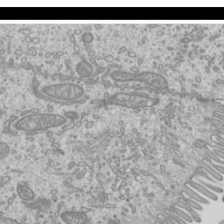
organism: Mouse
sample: Cilia; mouse epididymis